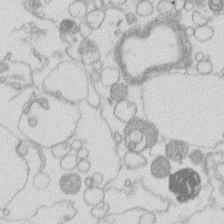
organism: Human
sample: Macrophage cells